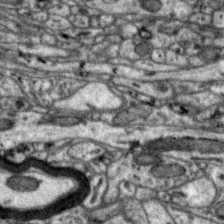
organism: Zebra finch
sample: Brain